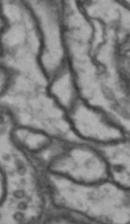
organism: Drosophila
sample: Brain